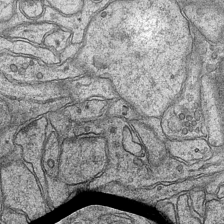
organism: Mouse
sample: CA1 Hippocampus